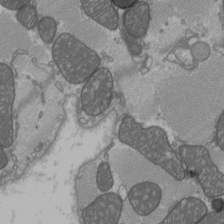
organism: C57BL Mouse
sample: Heart